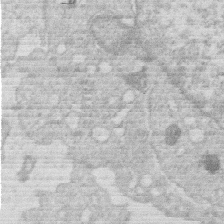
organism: Human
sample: Macrophage cells